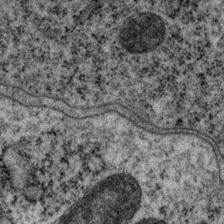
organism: P. pacificus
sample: Pharynx